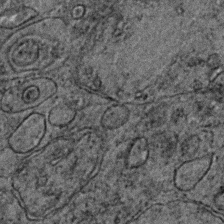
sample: Trachea